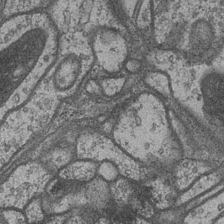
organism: Drosophila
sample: Optic medulla